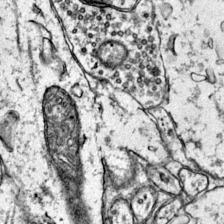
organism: Mouse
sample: Primary visual cortex